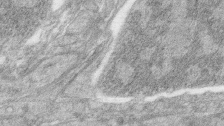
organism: Zebrafish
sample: synaptic ribbons in rod cells and cone cells